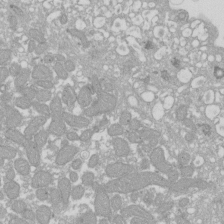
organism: Xenopus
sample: Cilia; centrioles in frog embryo cells